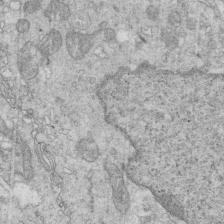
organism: Mouse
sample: Multiciliated cells